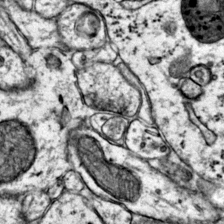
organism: Mouse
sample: Primary visual cortex